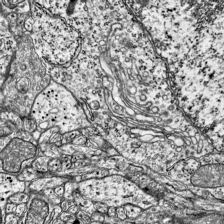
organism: Mouse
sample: Visual Cortex